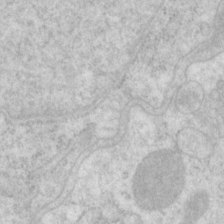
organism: P. pacificus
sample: Pharynx